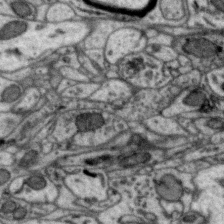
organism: Zebra finch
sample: Brain